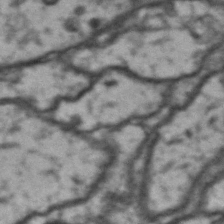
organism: Drosophila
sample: Brain